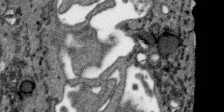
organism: Human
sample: Lung epithelial cells, uninfected (mock) control